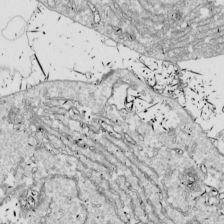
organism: Drosophila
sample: Cell division; meiosis; drosophila spermatocytes